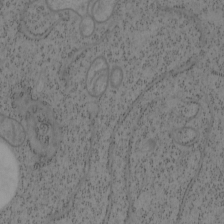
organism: Mouse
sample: OT-I killer T cells with ID8 ovarian cancer cells